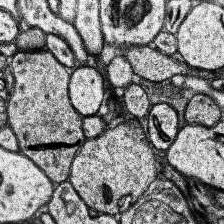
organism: Human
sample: Temporal Lobe